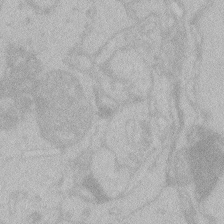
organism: Zebrafish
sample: Macrophage infected with Toxoplasma gondii